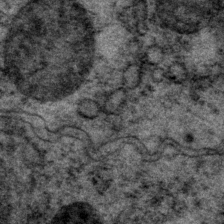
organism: P. pacificus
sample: Pharynx